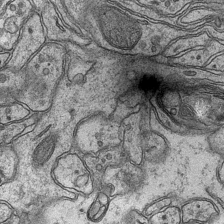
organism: Mouse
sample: CA1 Hippocampus